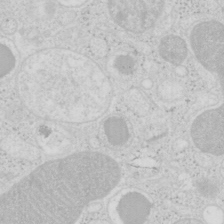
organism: Mouse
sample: Pancreas